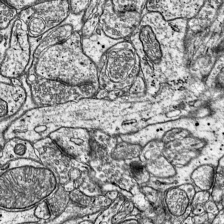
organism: Mouse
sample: Visual Cortex